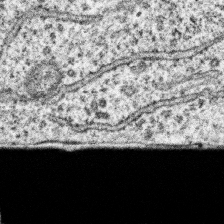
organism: Human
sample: HeLa cells